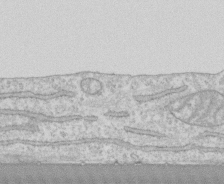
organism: Human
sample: CRL-1474